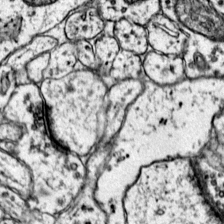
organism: Mouse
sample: Primary visual cortex